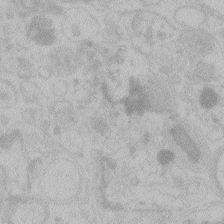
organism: Zebrafish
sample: Macrophage infected with Toxoplasma gondii